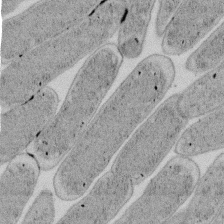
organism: E. coli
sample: Bacterial nucleoid